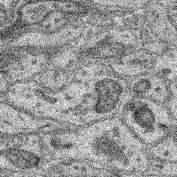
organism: Mouse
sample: Retina